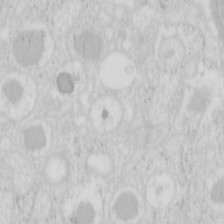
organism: Mouse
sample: Pancreas